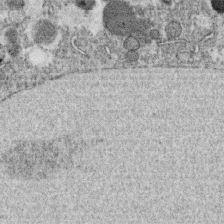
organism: C. elegans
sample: C. elegans oocyte; sperm cells